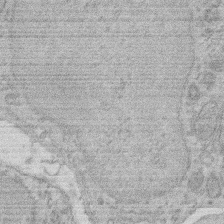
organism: Rat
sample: Salivary granule